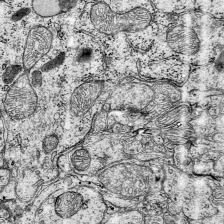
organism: Mouse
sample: Visual Cortex